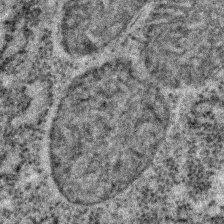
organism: C. elegans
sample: C. elegans embryo